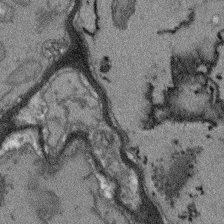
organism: Arabidopsis thaliana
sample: Root tip